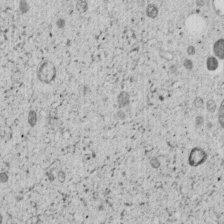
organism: C. elegans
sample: C. elegans embryo early stage